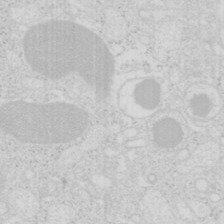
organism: Mouse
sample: Pancreas